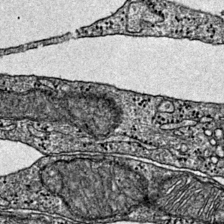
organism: Mouse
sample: Primary visual cortex